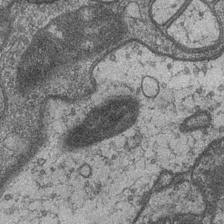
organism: Drosophila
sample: Optic medulla